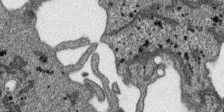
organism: Human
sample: Lung epithelial cells infected with SARS-CoV-2